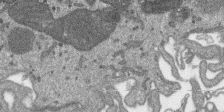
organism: Human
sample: Lung epithelial cells infected with SARS-CoV-2